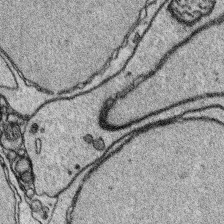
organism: Platynereis dumerilii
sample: Parapodia